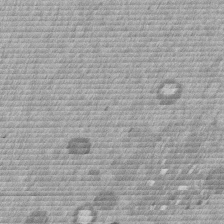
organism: Mouse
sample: Dividing mouse embryo 1 cell stage